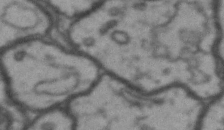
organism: Drosophila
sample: Brain